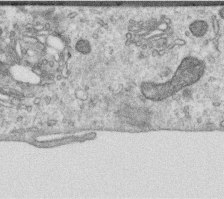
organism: Human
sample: Centriole in RPE cells